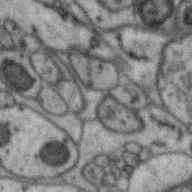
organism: Zebra finch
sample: Brain